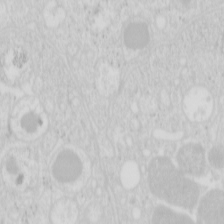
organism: Mouse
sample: Pancreas